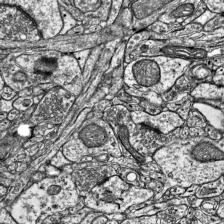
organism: Mouse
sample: Visual Cortex